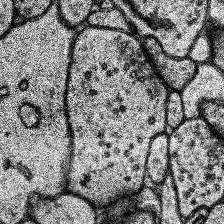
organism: Human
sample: Temporal Lobe